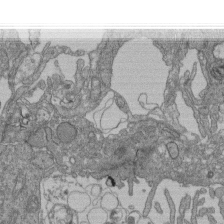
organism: Human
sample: Retinal organoid Rod and Cone cells